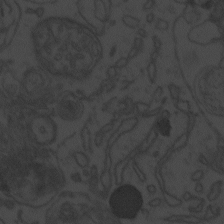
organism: Zebrafish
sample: Macrophage infected with Toxoplasma gondii